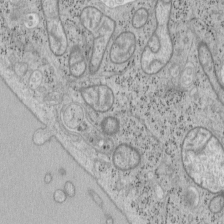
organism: Mouse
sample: OT-I killer T cells with ID8 ovarian cancer cells